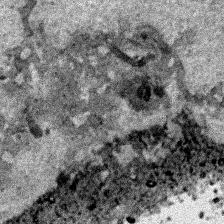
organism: Human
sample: Mitochondria in HCT116 cells